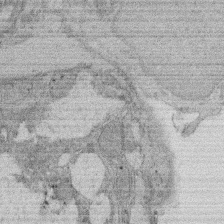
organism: Rat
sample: Salivary granule